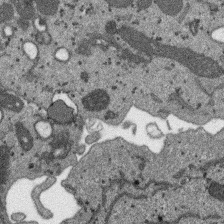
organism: Human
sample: Lung epithelial cells infected with SARS-CoV-2